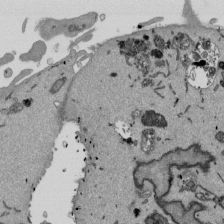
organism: Mouse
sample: ED-1 cell nuclei; centrioles